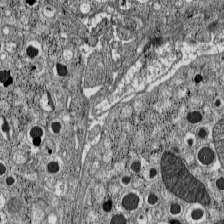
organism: C57BL Mouse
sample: Pancreatic islet